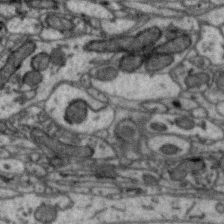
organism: Zebra finch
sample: Brain